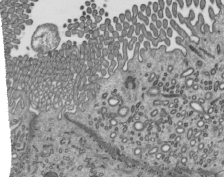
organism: Mouse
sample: Mouse epididymis efferent ductule cilia